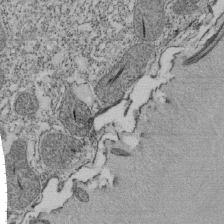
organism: Tetrahymena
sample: Cilia in tetrahymena